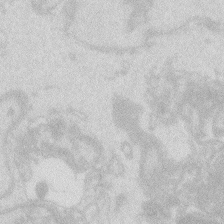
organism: Zebrafish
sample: Macrophage